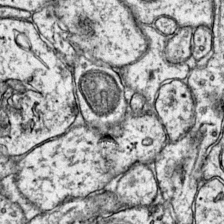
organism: Mouse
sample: Primary visual cortex